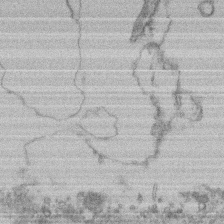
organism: Mouse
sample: T cell stromal cell synapse